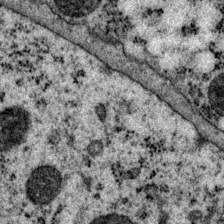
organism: P. pacificus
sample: Pharynx